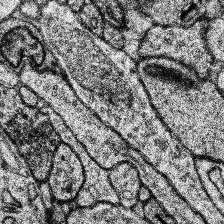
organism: Human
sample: Temporal Lobe